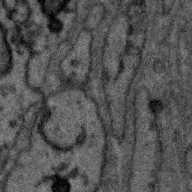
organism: Zebra finch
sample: Brain